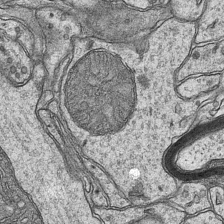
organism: Mouse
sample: CA1 Hippocampus